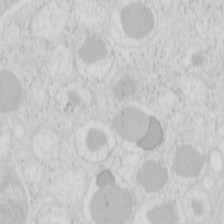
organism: Mouse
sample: Pancreas